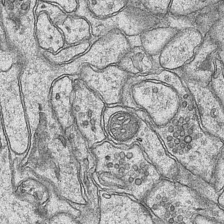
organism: Mouse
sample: CA1 Hippocampus